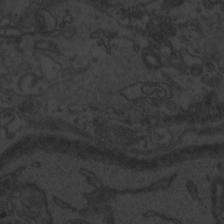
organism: Zebrafish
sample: Macrophage infected with Toxoplasma gondii